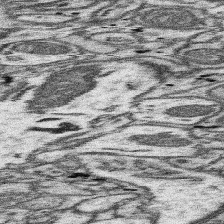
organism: Mouse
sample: Somatosensory cortex neuropil